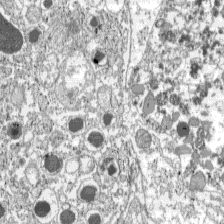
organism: C57BL Mouse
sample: Pancreatic islet